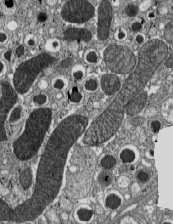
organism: C57BL Mouse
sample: Pancreatic islet